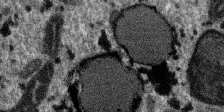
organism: Human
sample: Lung epithelial cells infected with SARS-CoV-2